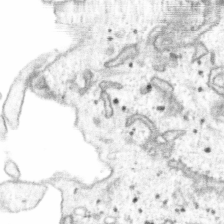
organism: Human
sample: HeLa cells